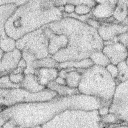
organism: Rabbit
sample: Retina